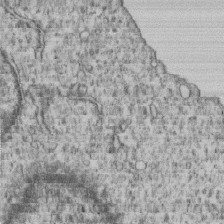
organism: Human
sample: MDA-MB-231 cells